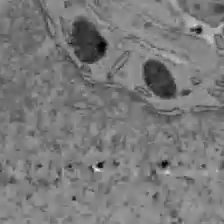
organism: C57BL Mouse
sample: Liver